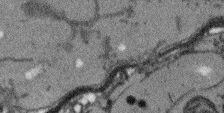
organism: Arabidopsis thaliana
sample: Root tip